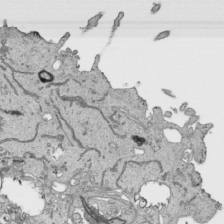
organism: Human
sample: Mitochondria in HCT116 cells